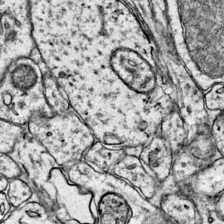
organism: Mouse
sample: Primary visual cortex